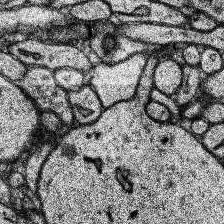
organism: Human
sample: Temporal Lobe